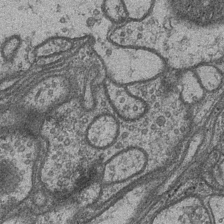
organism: Drosophila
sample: Optic medulla